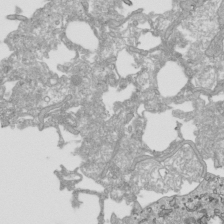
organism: Human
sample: Mitochondria in HCT116 cells